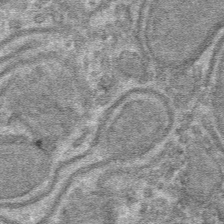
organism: Mouse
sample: Mouse hepatocytes